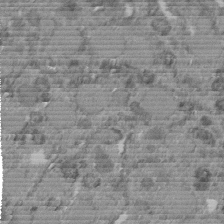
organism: C. elegans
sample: C. elegans embryo early stage